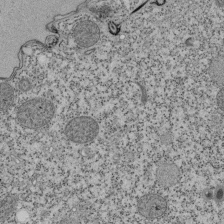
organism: Tetrahymena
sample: Cilia in tetrahymena